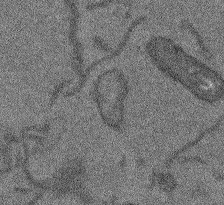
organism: Arabidopsis thaliana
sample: Root tip